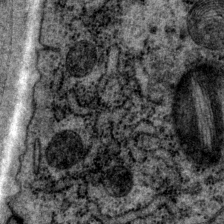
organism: P. pacificus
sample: Pharynx